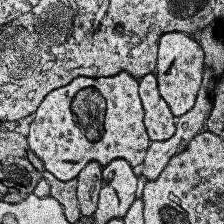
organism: Human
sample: Temporal Lobe